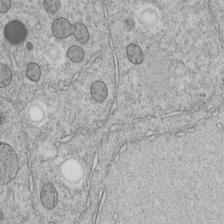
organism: C. elegans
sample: C. elegans embryo early stage